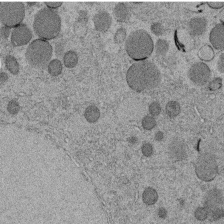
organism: C. elegans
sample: C. elegans embryo early stage